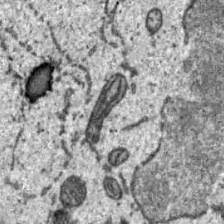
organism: Human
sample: HeLa cells